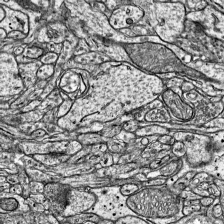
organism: Mouse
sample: Visual Cortex